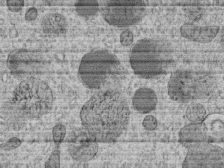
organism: C. elegans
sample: C. elegans embryo early stage